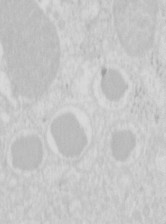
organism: Mouse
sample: Pancreas